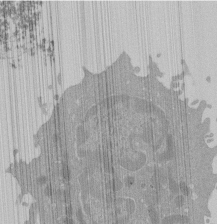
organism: Mouse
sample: Activated Pmel transgenic CD8+ T Cells